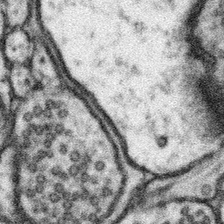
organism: Mouse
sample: Somatosensory cortex neuropil